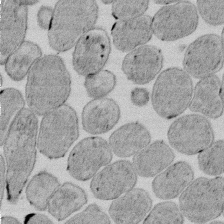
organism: E. coli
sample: Bacterial nucleoid